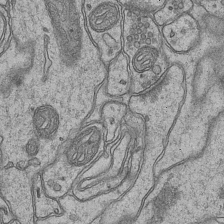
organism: Mouse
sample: CA1 Hippocampus